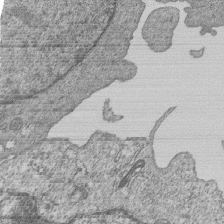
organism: Human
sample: MDA-MB-231 cells